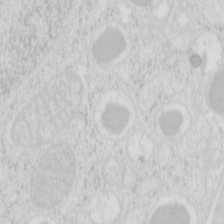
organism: Mouse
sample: Pancreas